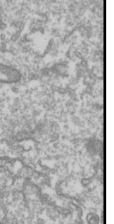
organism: Drosophila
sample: Cell division; meiosis; drosophila spermatocytes